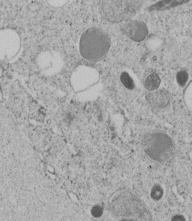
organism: C. elegans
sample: C. elegans embryo early stage